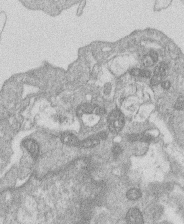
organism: Human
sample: Macrophage cells